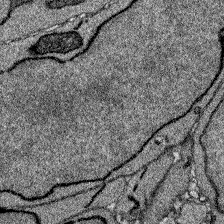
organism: Zebrafish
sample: Larval olfactory bulb